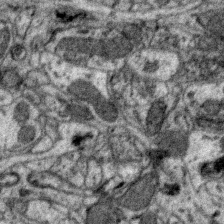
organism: Zebra finch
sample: Brain